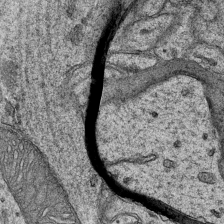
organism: Mouse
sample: CA1 Hippocampus